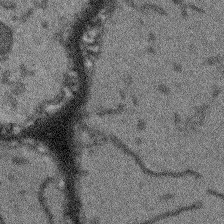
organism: Arabidopsis thaliana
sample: Root tip